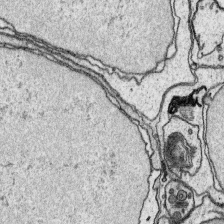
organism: Platynereis dumerilii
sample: Parapodia